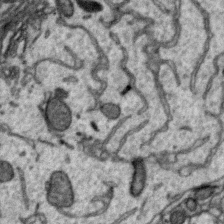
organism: Zebra finch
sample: Brain